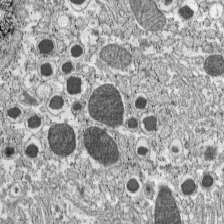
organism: C57BL Mouse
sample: Pancreatic islet